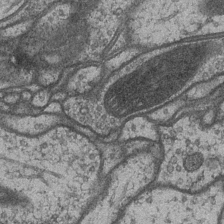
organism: Drosophila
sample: Optic medulla